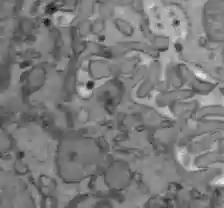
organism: C57BL Mouse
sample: Liver